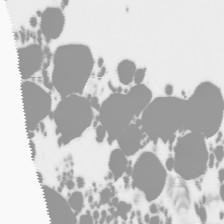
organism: Human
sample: THP-1 cells